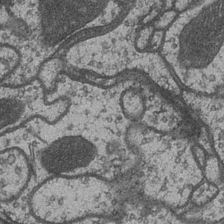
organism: Drosophila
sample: Optic medulla